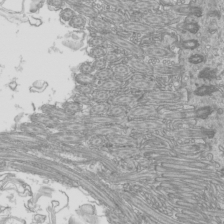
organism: Mouse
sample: Cilia; mouse epididymis